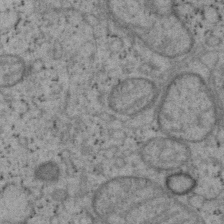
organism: Human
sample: HeLa cells